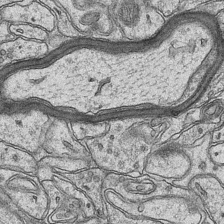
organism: Mouse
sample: CA1 Hippocampus